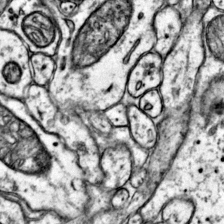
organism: Mouse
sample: Primary visual cortex